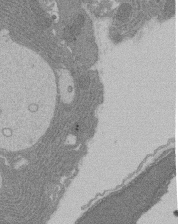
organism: Rat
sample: Salivary granule